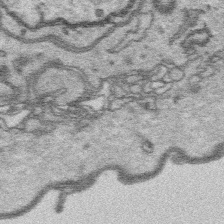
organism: Platynereis dumerilii